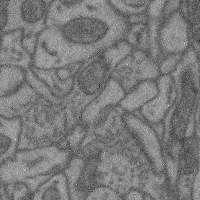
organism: Mouse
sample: Cerebral cortex